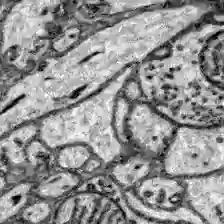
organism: Zebrafish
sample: Brain